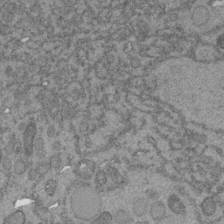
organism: C. elegans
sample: C. elegans embryo early stage